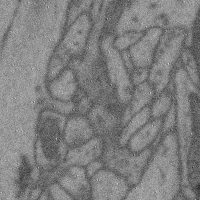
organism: Mouse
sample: Cerebral cortex